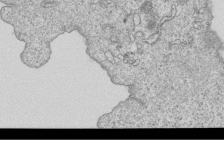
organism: Human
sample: MDA-MB-231 cells